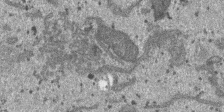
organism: Human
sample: Lung epithelial cells infected with SARS-CoV-2